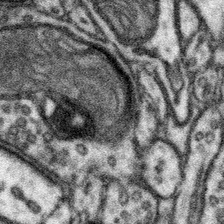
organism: Mouse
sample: Somatosensory cortex neuropil